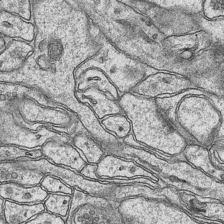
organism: Mouse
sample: CA1 Hippocampus